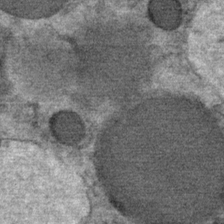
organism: Mouse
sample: Mouse Salivary gland